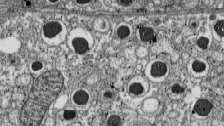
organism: C57BL Mouse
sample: Pancreatic islet